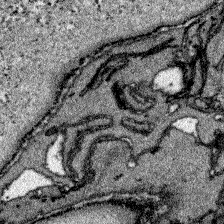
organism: Zebrafish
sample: Larval olfactory bulb